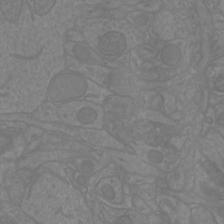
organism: Mouse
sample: Cortical neurons